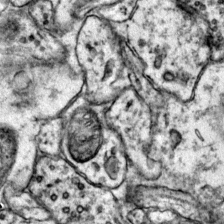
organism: Mouse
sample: Primary visual cortex